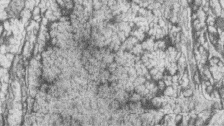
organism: Zebrafish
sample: synaptic ribbons in rod cells and cone cells